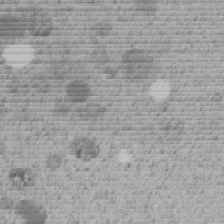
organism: C. elegans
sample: C. elegans embryo early stage